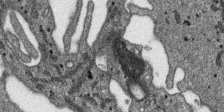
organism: Human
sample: Lung epithelial cells infected with SARS-CoV-2